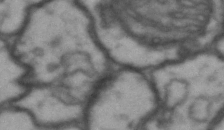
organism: Drosophila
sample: Brain